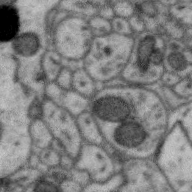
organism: Zebra finch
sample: Brain